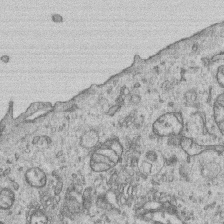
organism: Human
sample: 1205lu cells